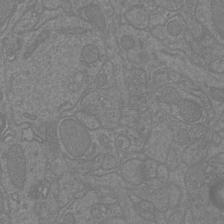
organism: Mouse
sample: Cortical neurons